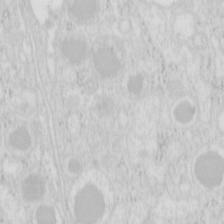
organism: Mouse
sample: Pancreas